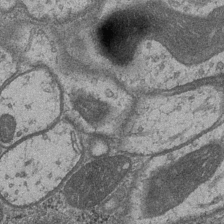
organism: Drosophila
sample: Optic medulla